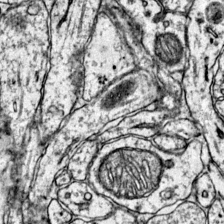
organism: Mouse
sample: Primary visual cortex